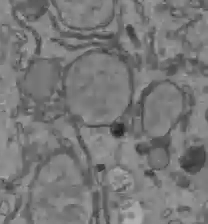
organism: C57BL Mouse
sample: Liver